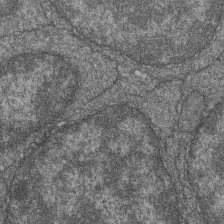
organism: Zebrafish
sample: Cilia; retinal pigment epithelium